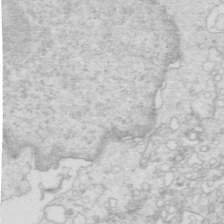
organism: Mouse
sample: Multiciliated cells